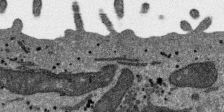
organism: Human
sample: Lung epithelial cells, uninfected (mock) control